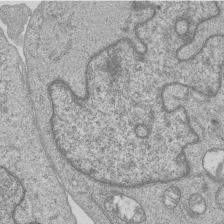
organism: Human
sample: MDA-MB-231 cells